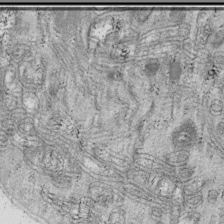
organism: Drosophila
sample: Cell division; meiosis; drosophila spermatocytes